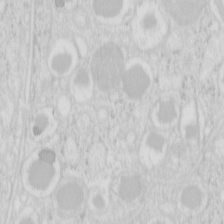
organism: Mouse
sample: Pancreas